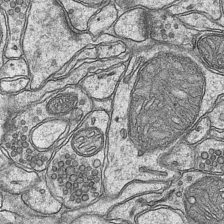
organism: Mouse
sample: CA1 Hippocampus